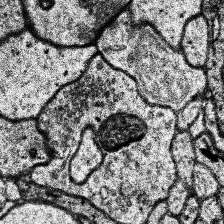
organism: Human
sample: Temporal Lobe